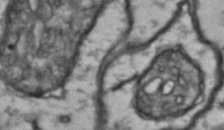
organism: Drosophila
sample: Brain